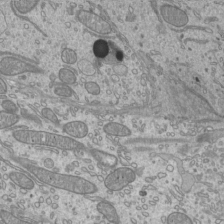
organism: Mouse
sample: Cilia; mouse epididymis